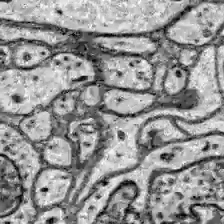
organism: Zebrafish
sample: Brain